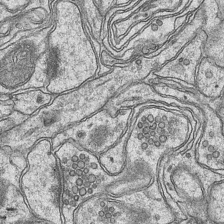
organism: Mouse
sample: CA1 Hippocampus